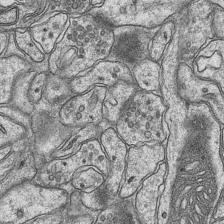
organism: Mouse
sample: CA1 Hippocampus